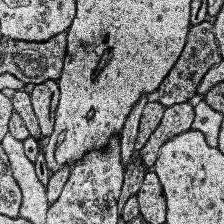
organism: Human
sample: Temporal Lobe